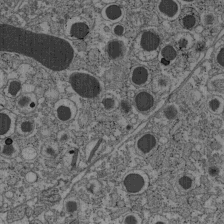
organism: C57BL Mouse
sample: Pancreatic islet